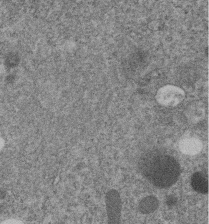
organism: C. elegans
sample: C. elegans embryo early stage